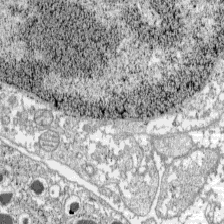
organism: C57BL Mouse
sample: Pancreatic islet